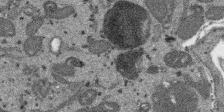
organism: Human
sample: Lung epithelial cells infected with SARS-CoV-2